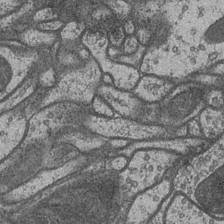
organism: Drosophila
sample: Optic medulla